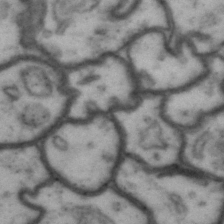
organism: Drosophila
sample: Brain